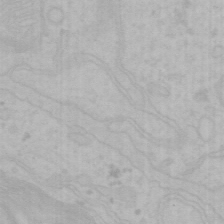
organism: Mouse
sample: Choroid plexus